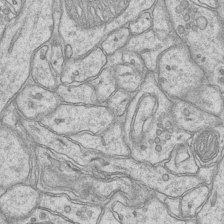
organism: Mouse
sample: CA1 Hippocampus